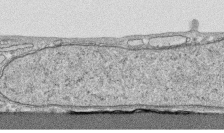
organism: Human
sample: CRL-1474